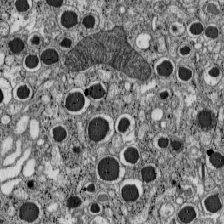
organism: C57BL Mouse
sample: Pancreatic islet